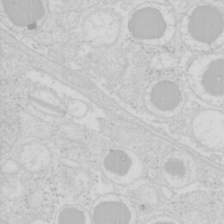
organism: Mouse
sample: Pancreas